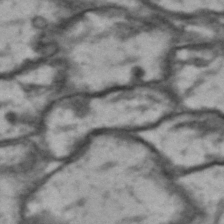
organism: Drosophila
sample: Brain